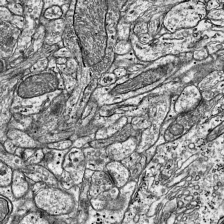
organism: Mouse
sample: Visual Cortex